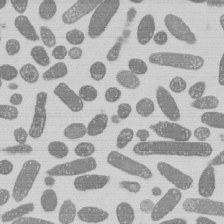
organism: E. coli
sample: Bacterial nucleoid